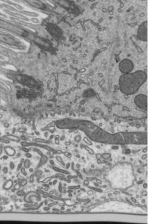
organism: Mouse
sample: Mouse epididymis efferent ductule cilia